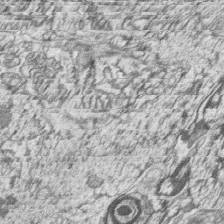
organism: Zebrafish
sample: synaptic ribbons in rod cells and cone cells